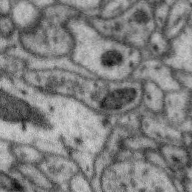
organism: Zebra finch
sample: Brain